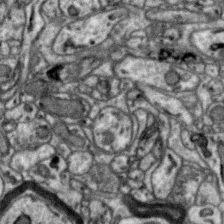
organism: Zebra finch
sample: Brain